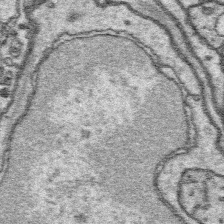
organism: Platynereis dumerilii